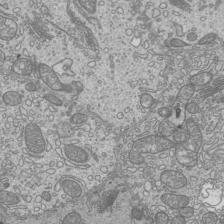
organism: Mouse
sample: Cilia; mouse epididymis